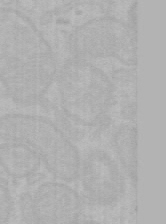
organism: Mouse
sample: Choroid plexus